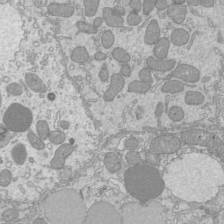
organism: Mouse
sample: Cilia; mouse epididymis